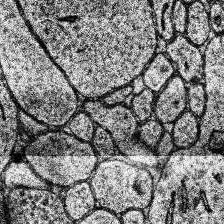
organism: Human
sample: Temporal Lobe